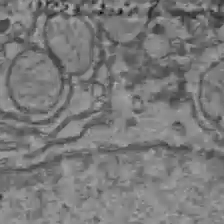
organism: C57BL Mouse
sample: Liver